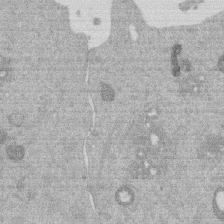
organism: Mouse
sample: Dividing mouse embryo 1 cell stage